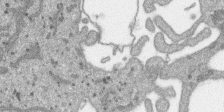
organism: Human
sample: Lung epithelial cells infected with SARS-CoV-2